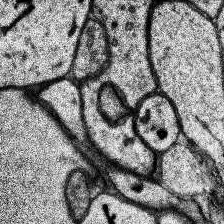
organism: Human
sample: Temporal Lobe